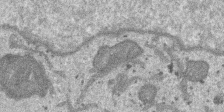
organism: Human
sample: Lung epithelial cells infected with SARS-CoV-2